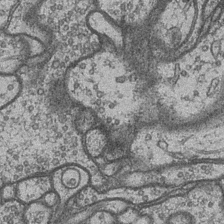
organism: Drosophila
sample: Optic medulla